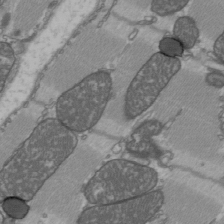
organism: C57BL Mouse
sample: Heart